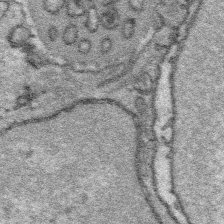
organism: Platynereis dumerilii